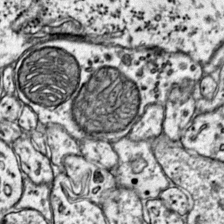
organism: Mouse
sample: Primary visual cortex